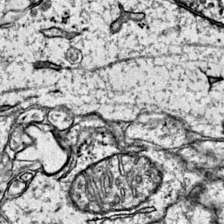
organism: Mouse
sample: Primary visual cortex